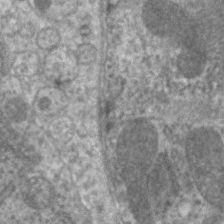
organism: C. elegans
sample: Pharynx